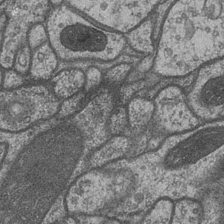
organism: Drosophila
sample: Optic medulla